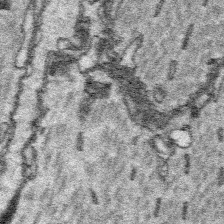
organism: Platynereis dumerilii